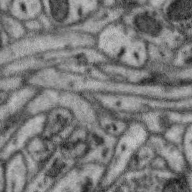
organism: Zebra finch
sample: Brain